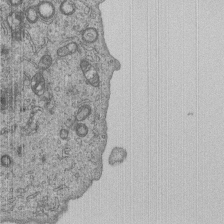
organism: Human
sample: MDA-MB-231 cells